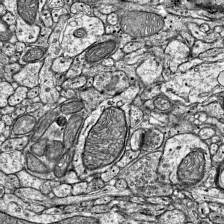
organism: Mouse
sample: Visual Cortex